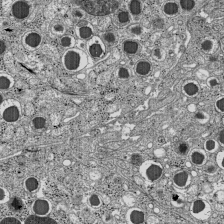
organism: C57BL Mouse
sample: Pancreatic islet